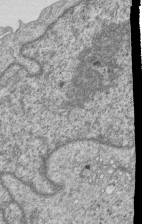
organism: Human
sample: MDA-MB-231 cells